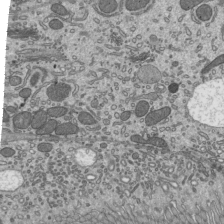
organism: Mouse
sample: Mouse epididymis efferent ductule cilia